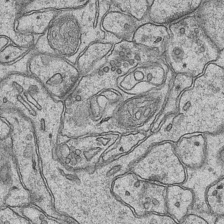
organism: Mouse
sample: CA1 Hippocampus